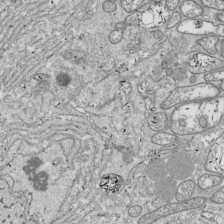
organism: Drosophila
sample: Cell division; meiosis; drosophila spermatocytes